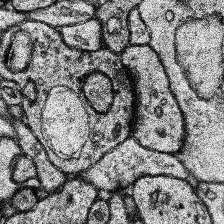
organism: Human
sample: Temporal Lobe